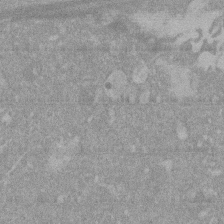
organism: Mouse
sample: ED-1 cell nuclei; centrioles